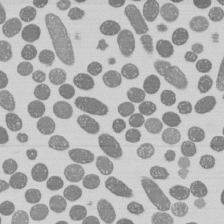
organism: E. coli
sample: Bacterial nucleoid